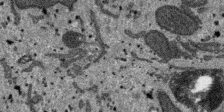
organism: Human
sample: Lung epithelial cells, uninfected (mock) control